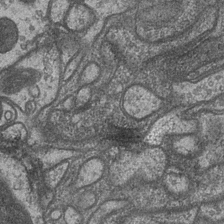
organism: Drosophila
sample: Optic medulla